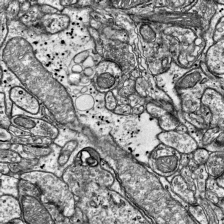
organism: Mouse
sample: Visual Cortex